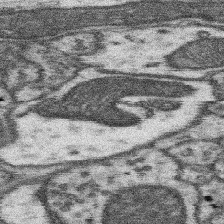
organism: Mouse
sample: Somatosensory cortex neuropil